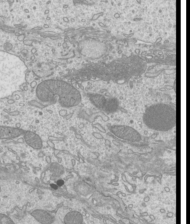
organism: Mouse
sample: Cilia; mouse epididymis